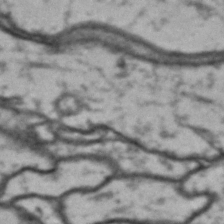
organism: Drosophila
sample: Brain